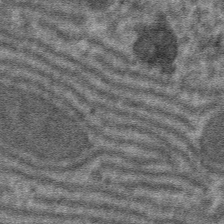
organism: Mouse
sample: Mouse hepatocytes